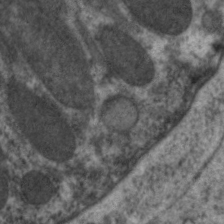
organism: C. elegans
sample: Pharynx